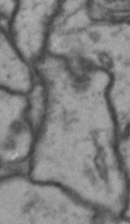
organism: Drosophila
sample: Brain